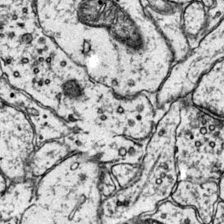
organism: Mouse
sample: Primary visual cortex